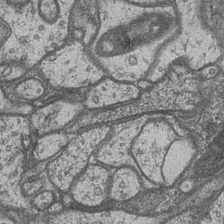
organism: Drosophila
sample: Optic medulla